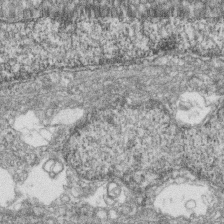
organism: Zebrafish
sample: Cilia; retinal pigment epithelium